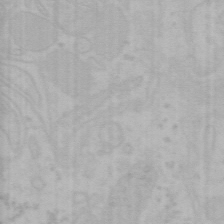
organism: Mouse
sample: Choroid plexus